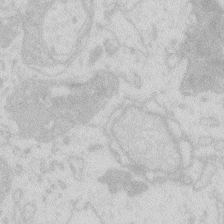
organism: Zebrafish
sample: Macrophage